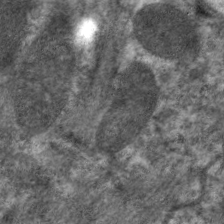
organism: C. elegans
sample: Pharynx